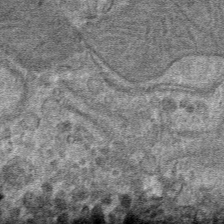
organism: Mouse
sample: Mouse hepatocytes